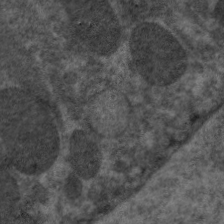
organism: C. elegans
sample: Pharynx